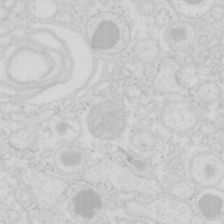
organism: Mouse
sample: Pancreas